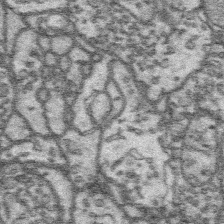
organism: Platynereis dumerilii